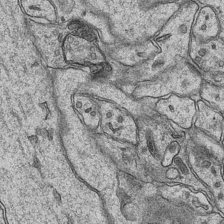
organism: Mouse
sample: CA1 Hippocampus